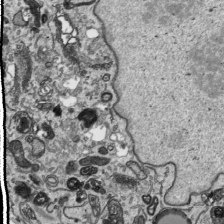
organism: Human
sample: Mitochondria in HCT116 cells